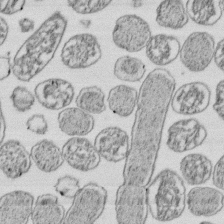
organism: E. coli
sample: Bacterial nucleoid